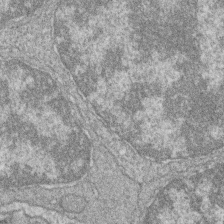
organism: Zebrafish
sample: Cilia; retinal pigment epithelium